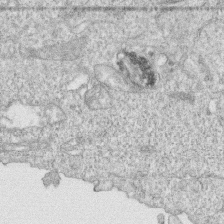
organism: Human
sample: HeLa cell HIV synapse